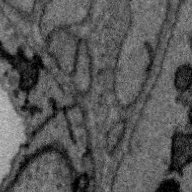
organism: Zebra finch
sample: Brain